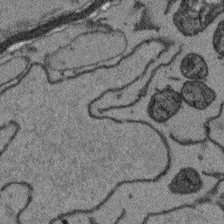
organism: Arabidopsis thaliana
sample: Root tip